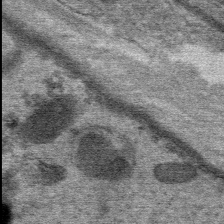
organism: Mouse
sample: Mouse Salivary gland